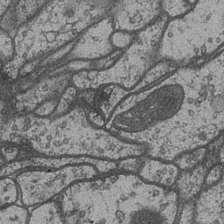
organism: Drosophila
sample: Optic medulla